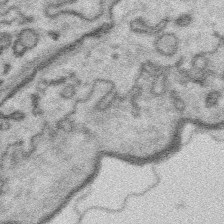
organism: Platynereis dumerilii